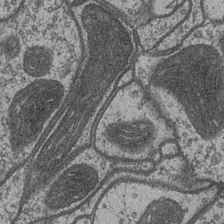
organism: Drosophila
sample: Optic medulla